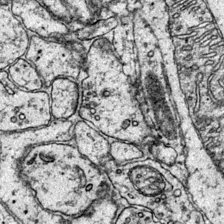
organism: Mouse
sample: Primary visual cortex